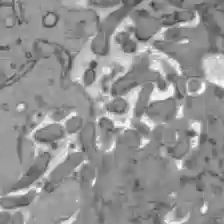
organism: C57BL Mouse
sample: Liver